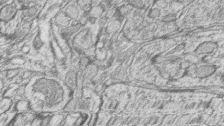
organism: Zebrafish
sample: synaptic ribbons in rod cells and cone cells